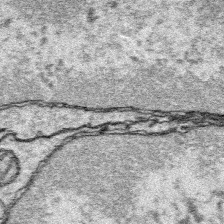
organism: Platynereis dumerilii